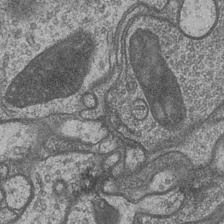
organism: Drosophila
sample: Optic medulla